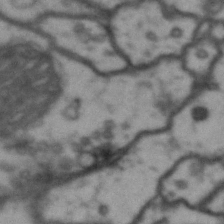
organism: Drosophila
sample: Brain